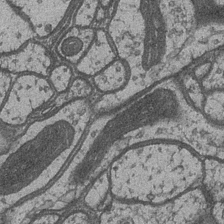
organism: Drosophila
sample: Optic medulla